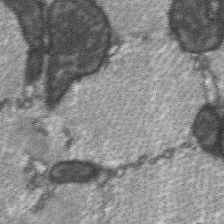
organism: C57BL Mouse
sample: Soleus